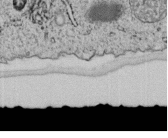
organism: C. elegans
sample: C. elegans embryo early stage